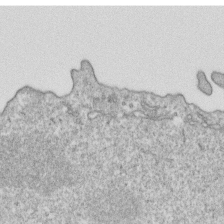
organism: Mouse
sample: Activated OT-1 CD8+ T cells